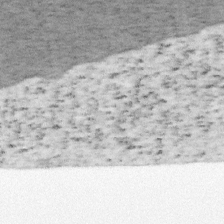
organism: Mouse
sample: OT-I killer T cells with ID8 ovarian cancer cells